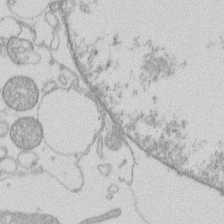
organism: Human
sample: Macrophage cells